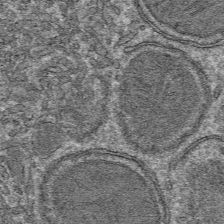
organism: Mouse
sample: Mouse hepatocytes